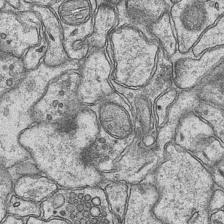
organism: Mouse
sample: CA1 Hippocampus